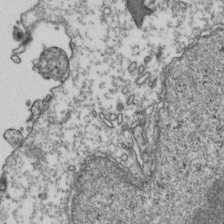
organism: Human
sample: Activated Jurkat CD4+ T cells